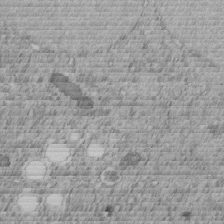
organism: C. elegans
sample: C. elegans embryo early stage